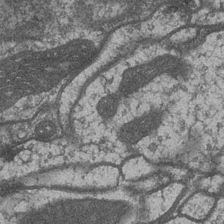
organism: Drosophila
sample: Optic medulla